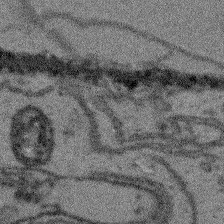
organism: Arabidopsis thaliana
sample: Root tip